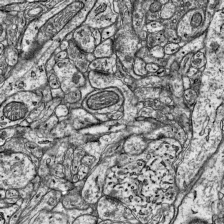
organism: Mouse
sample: Visual Cortex